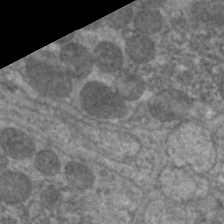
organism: C. elegans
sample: Pharynx